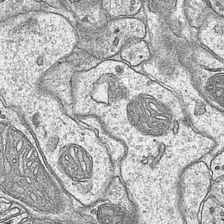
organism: Mouse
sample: CA1 Hippocampus